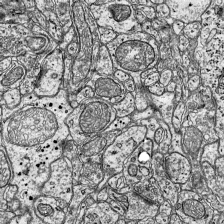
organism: Mouse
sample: Visual Cortex